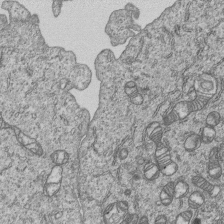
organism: Human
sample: MDA-MB-231 cells